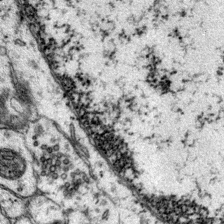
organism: Mouse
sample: Primary visual cortex